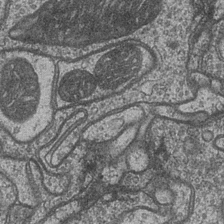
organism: Drosophila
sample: Optic medulla